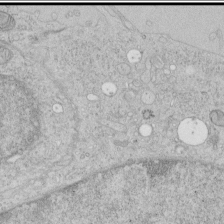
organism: Human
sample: Mitochondria in HCT116 cells